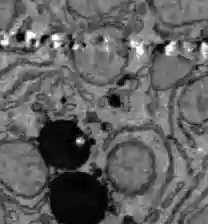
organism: C57BL Mouse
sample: Liver